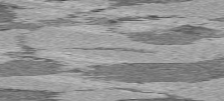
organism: C57BL Mouse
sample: Heart